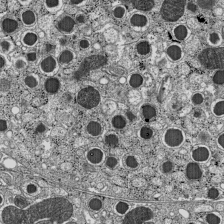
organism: C57BL Mouse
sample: Pancreatic islet